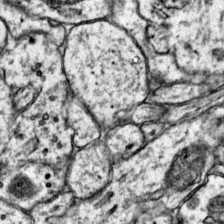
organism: Mouse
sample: Primary visual cortex